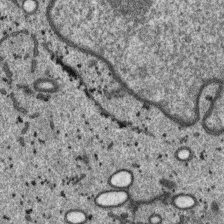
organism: Human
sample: Lung epithelial cells infected with SARS-CoV-2